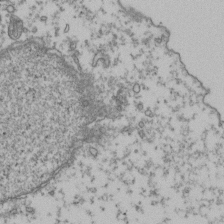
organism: Human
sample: Activated Jurkat CD4+ T cells